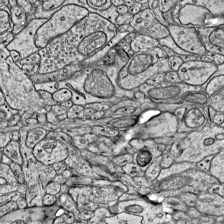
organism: Mouse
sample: Visual Cortex